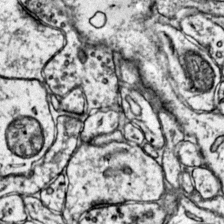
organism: Mouse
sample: Primary visual cortex